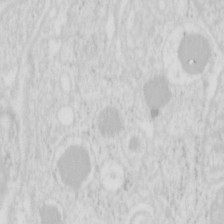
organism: Mouse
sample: Pancreas